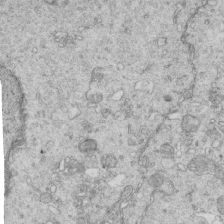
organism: Mouse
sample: Multiciliated cells